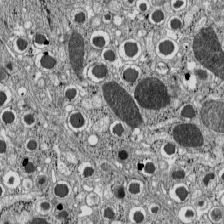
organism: C57BL Mouse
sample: Pancreatic islet